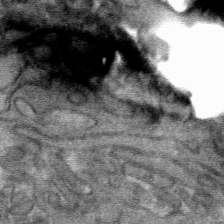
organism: Mouse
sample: Mouse hepatocytes